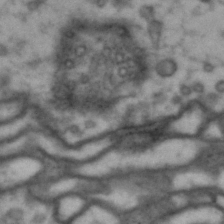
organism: Drosophila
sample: Brain